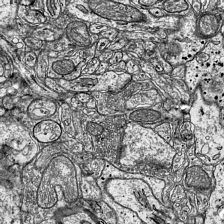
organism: Mouse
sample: Visual Cortex